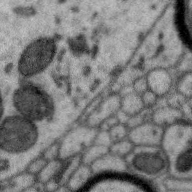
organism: Zebra finch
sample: Brain